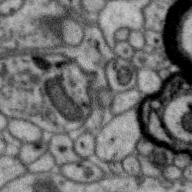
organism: Zebra finch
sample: Brain